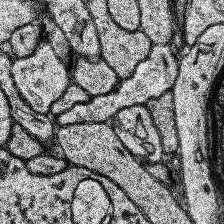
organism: Human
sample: Temporal Lobe